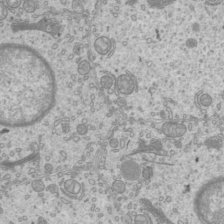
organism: Mouse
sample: Cilia; mouse epididymis